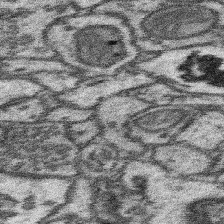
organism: Mouse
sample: Somatosensory cortex neuropil